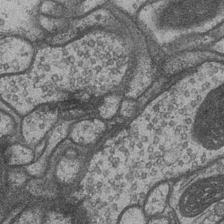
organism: Drosophila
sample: Optic medulla